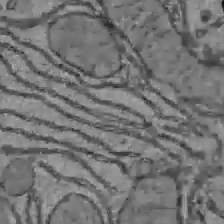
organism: C57BL Mouse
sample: Liver